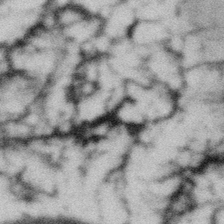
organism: Gemmata obscuriglobus